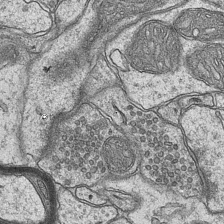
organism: Mouse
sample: CA1 Hippocampus